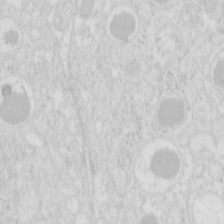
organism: Mouse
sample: Pancreas